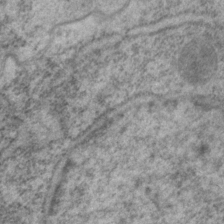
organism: P. pacificus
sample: Pharynx